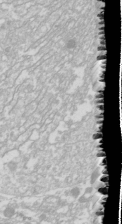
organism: Drosophila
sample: Cell division; meiosis; drosophila spermatocytes